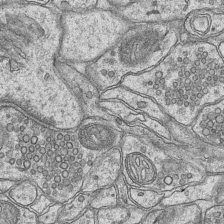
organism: Mouse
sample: CA1 Hippocampus